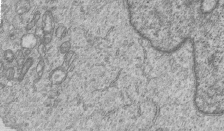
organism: Human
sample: MDA-MB-231 cells